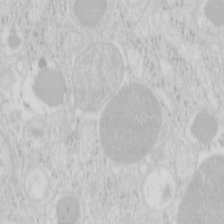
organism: Mouse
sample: Pancreas